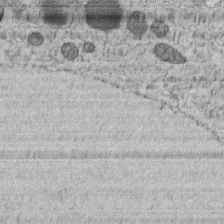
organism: C. elegans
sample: C. elegans embryo early stage